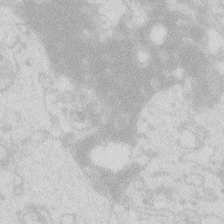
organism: Zebrafish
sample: Macrophage